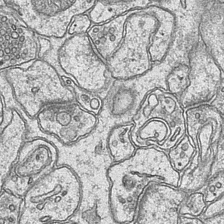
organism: Mouse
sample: CA1 Hippocampus